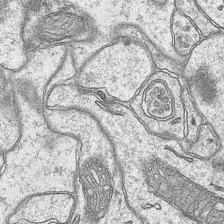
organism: Mouse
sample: CA1 Hippocampus